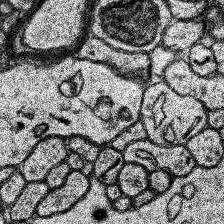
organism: Human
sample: Temporal Lobe